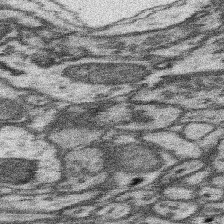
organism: Mouse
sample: Somatosensory cortex neuropil